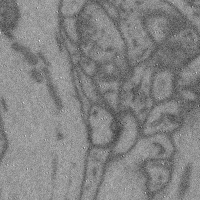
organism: Mouse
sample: Cerebral cortex